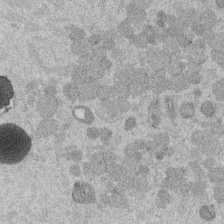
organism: Mouse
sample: Dividing mouse embryo 1 cell stage